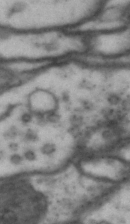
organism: Drosophila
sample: Brain